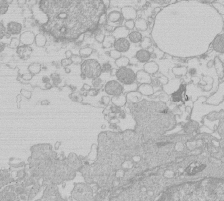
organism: Human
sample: Macrophage cells